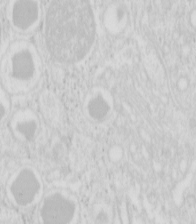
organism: Mouse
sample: Pancreas